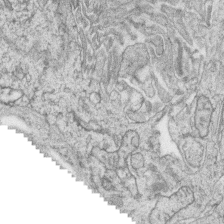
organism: Zebrafish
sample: synaptic ribbons in rod cells and cone cells